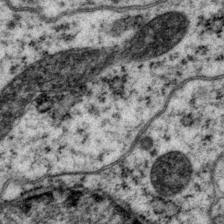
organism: P. pacificus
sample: Pharynx